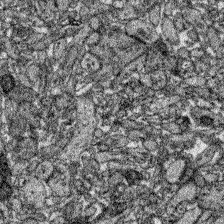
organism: Zebrafish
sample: Larval olfactory bulb